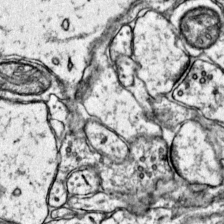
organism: Mouse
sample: Primary visual cortex